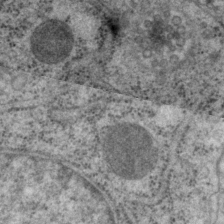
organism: P. pacificus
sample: Pharynx